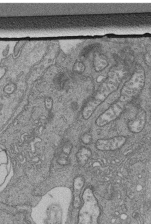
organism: Human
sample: Retinal organoid Rod and Cone cells